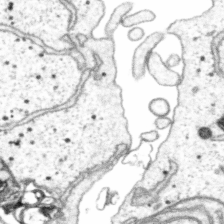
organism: Human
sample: HeLa cells